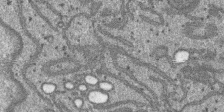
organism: Human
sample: Lung epithelial cells infected with SARS-CoV-2